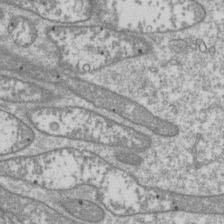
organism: Drosophila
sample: Cell division; meiosis; drosophila spermatocytes